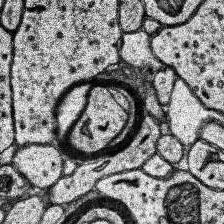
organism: Human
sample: Temporal Lobe